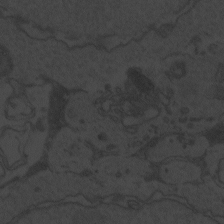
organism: Zebrafish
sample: Macrophage infected with Toxoplasma gondii